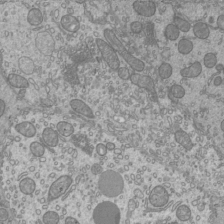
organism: Mouse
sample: Cilia; mouse epididymis